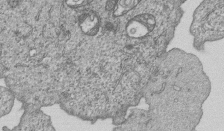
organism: Human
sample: MDA-MB-231 cells